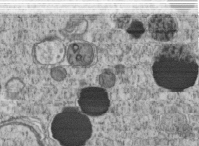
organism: C. elegans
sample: C. elegans embryo early stage